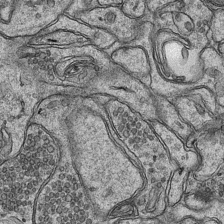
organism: Mouse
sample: CA1 Hippocampus